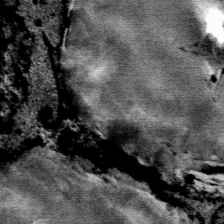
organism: Mouse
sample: Mouse Salivary gland